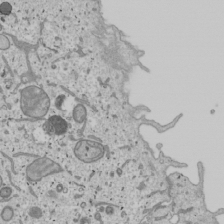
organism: Human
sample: Mitochondria in U2OS cells